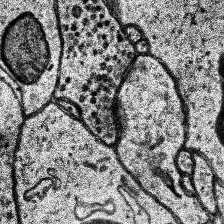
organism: Human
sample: Temporal Lobe